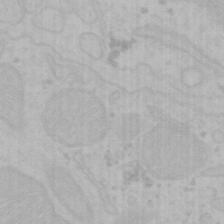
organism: Mouse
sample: Choroid plexus